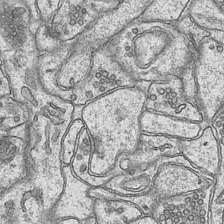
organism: Mouse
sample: CA1 Hippocampus